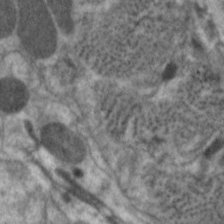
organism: C. elegans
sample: Pharynx